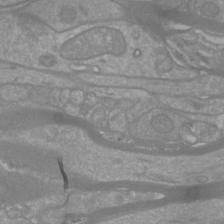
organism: Mouse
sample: Cortical neurons